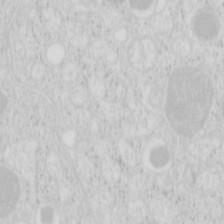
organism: Mouse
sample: Pancreas